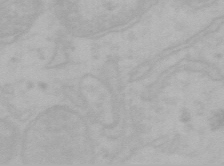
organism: Mouse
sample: Choroid plexus